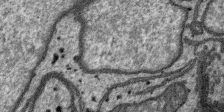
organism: Human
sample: Lung epithelial cells, uninfected (mock) control